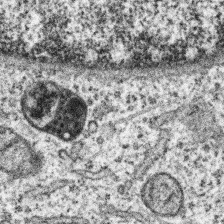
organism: Human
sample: HeLa cells